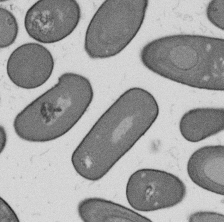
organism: B. subtilis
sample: Bacterial spore